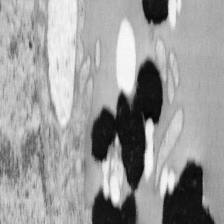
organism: Human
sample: HeLa cells